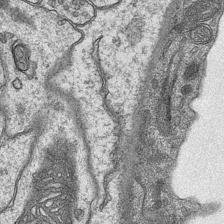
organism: Mouse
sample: CA1 Hippocampus